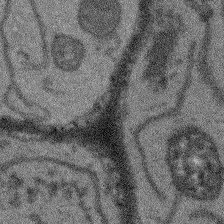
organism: Arabidopsis thaliana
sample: Root tip